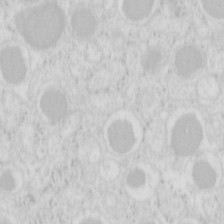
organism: Mouse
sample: Pancreas